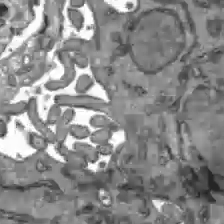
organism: C57BL Mouse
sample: Liver